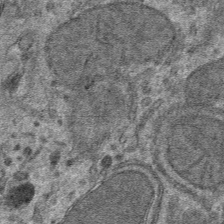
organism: Mouse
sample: Mouse hepatocytes